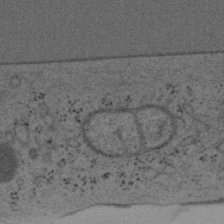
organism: Human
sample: HeLa cells